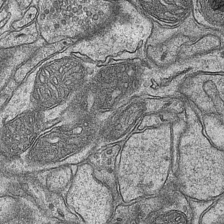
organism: Mouse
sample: CA1 Hippocampus